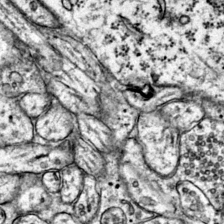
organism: Mouse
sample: Primary visual cortex